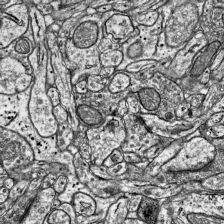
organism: Mouse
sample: Visual Cortex